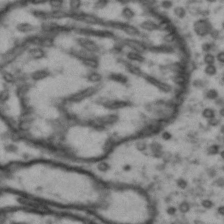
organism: Drosophila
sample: Brain